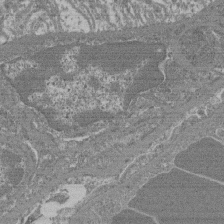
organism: Mouse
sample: Glomerulus